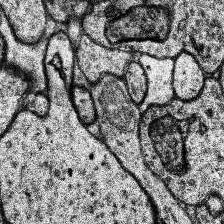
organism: Human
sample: Temporal Lobe